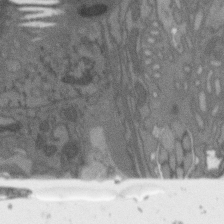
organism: C. elegans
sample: AFD neurons C. elegans